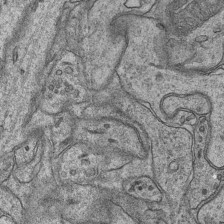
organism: Mouse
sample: CA1 Hippocampus